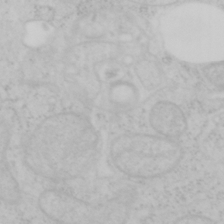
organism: Mouse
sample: OT-I killer T cells with ID8 ovarian cancer cells